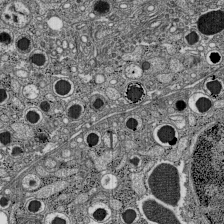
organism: C57BL Mouse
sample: Pancreatic islet